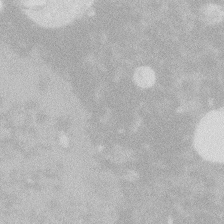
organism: Zebrafish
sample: Macrophage